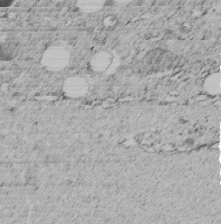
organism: C. elegans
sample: C. elegans embryo early stage